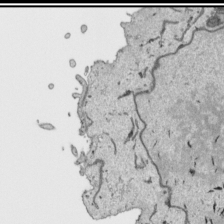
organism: Human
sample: Mitochondria in HCT116 cells